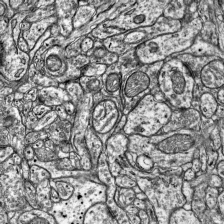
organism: Mouse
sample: Visual Cortex